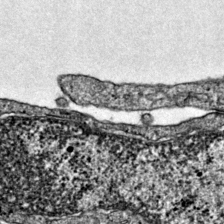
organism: Mouse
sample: Primary visual cortex